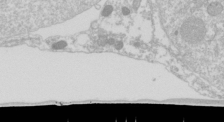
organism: Drosophila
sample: Cell division; meiosis; drosophila spermatocytes